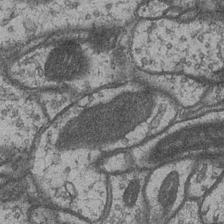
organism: Drosophila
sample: Optic medulla